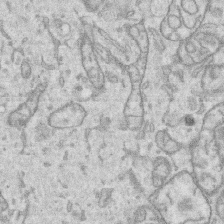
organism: Human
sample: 1205lu cells